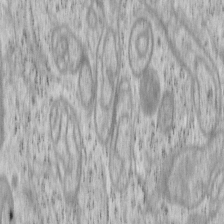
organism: Human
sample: HeLa cells